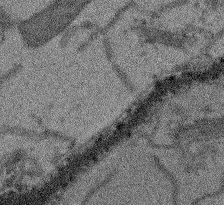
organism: Arabidopsis thaliana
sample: Root tip